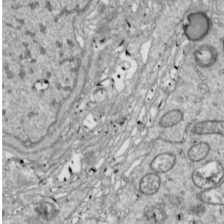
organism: Drosophila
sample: Cell division; meiosis; drosophila spermatocytes